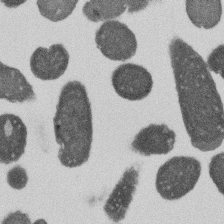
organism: E. coli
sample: Bacterial nucleoid